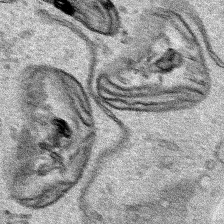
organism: Human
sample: Mitochondria in HCT116 cells